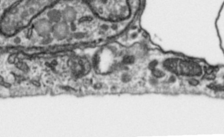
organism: Toxoplasma gondii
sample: Parasites in a vacuole inside a host cell